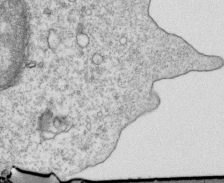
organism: Mouse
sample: Activated OT-1 CD8+ T cells